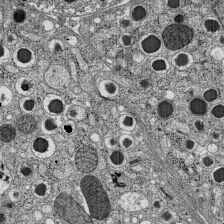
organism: C57BL Mouse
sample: Pancreatic islet